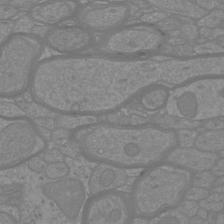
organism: Mouse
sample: Cortical neurons